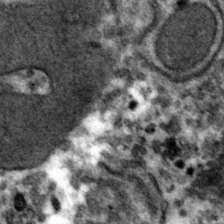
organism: Mouse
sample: Mouse hepatocytes